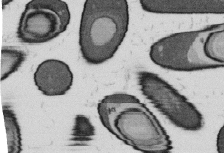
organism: B. subtilis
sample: Bacterial spore